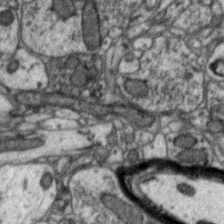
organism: Zebra finch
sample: Brain